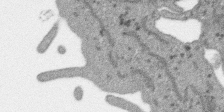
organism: Human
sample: Lung epithelial cells infected with SARS-CoV-2